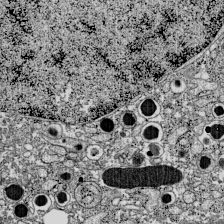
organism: C57BL Mouse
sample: Pancreatic islet